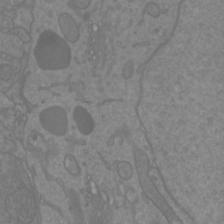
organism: Mouse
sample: Cortical neurons